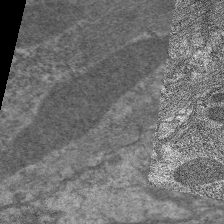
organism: C. elegans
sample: Pharynx